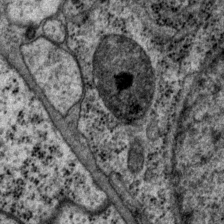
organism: P. pacificus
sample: Pharynx